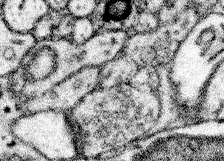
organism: Mouse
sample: Somatosensory cortex neuropil